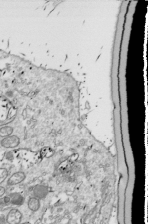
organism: Drosophila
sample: Cell division; meiosis; drosophila spermatocytes